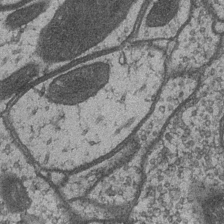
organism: Drosophila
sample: Optic medulla